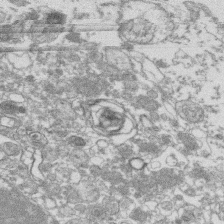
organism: Human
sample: HeLa cell HIV synapse